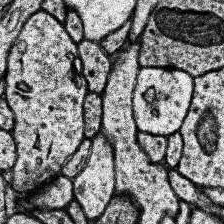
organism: Human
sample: Temporal Lobe